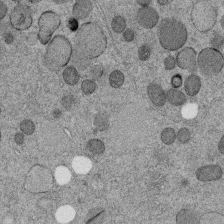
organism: C. elegans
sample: C. elegans embryo early stage